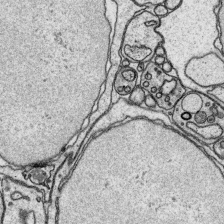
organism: Platynereis dumerilii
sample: Parapodia